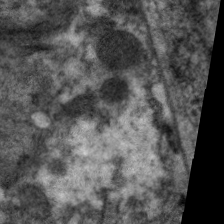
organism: C. elegans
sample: Pharynx